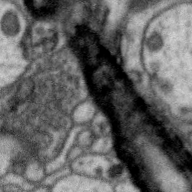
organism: Zebra finch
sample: Brain